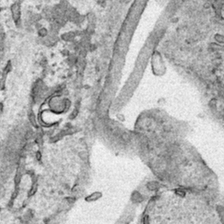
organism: Human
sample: Mitochondria in HCT116 cells